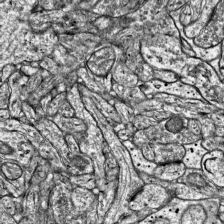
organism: Mouse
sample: Visual Cortex